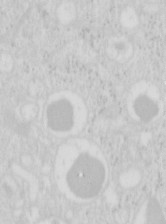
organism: Mouse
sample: Pancreas